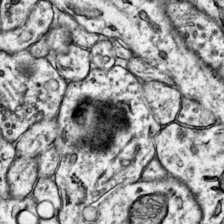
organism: Mouse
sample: Primary visual cortex